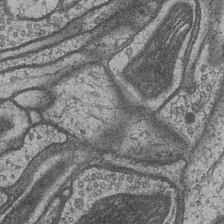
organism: Drosophila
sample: Optic medulla